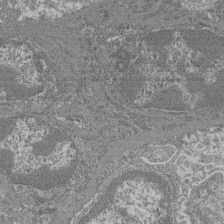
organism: Mouse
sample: Glomerulus